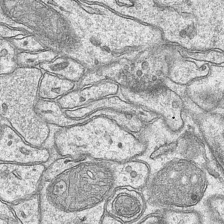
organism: Mouse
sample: CA1 Hippocampus